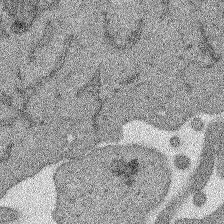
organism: Human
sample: HeLa cells